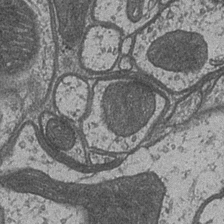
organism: Drosophila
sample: Optic medulla